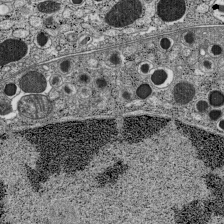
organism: C57BL Mouse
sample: Pancreatic islet